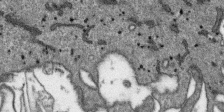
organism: Human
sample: Lung epithelial cells, uninfected (mock) control